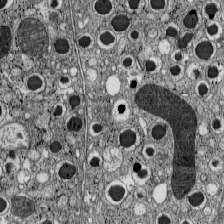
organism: C57BL Mouse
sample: Pancreatic islet